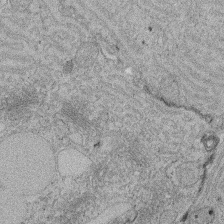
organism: Rat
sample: Salivary granule